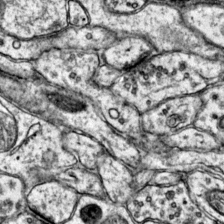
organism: Mouse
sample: Primary visual cortex